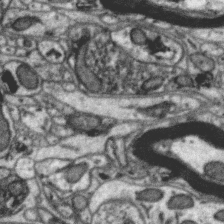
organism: Zebra finch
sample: Brain